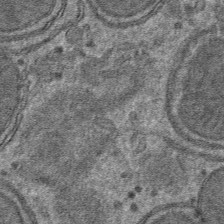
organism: Mouse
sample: Mouse hepatocytes